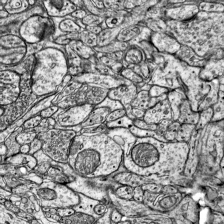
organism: Mouse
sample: Visual Cortex